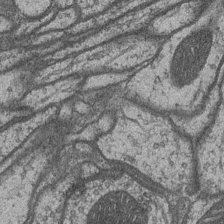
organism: Drosophila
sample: Optic medulla